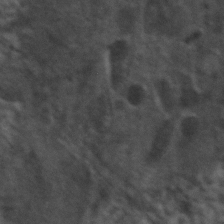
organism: Zebrafish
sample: Zebrafish embryo